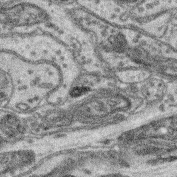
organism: Mouse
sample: Retina